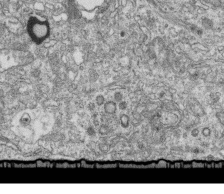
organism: Human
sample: HeLa cell HIV synapse